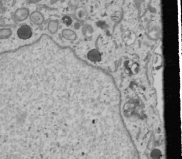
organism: Human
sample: Mitochondria in U2OS cells